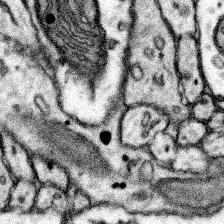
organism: Mouse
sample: Somatosensory cortex neuropil